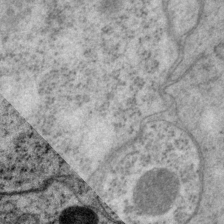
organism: P. pacificus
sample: Pharynx